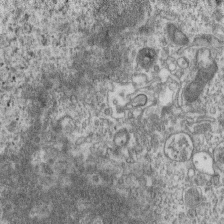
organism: Mouse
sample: Centriole in ependymal cells